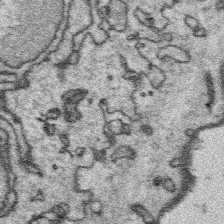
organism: Platynereis dumerilii